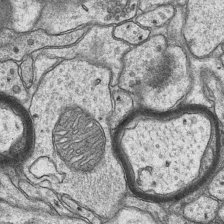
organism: Mouse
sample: CA1 Hippocampus